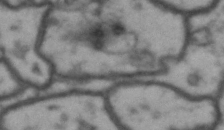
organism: Drosophila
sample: Brain